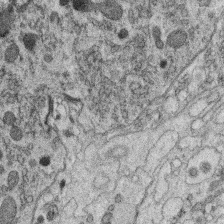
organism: C. elegans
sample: C. elegans oocyte; sperm cells